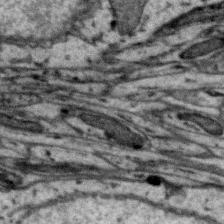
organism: Zebra finch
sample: Brain